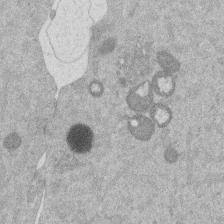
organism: Mouse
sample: Dividing mouse embryo 1 cell stage